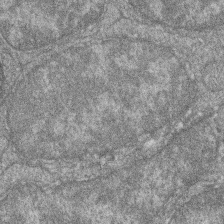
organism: Zebrafish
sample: Cilia; retinal pigment epithelium